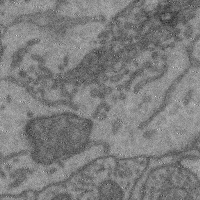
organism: Mouse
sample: Cerebral cortex